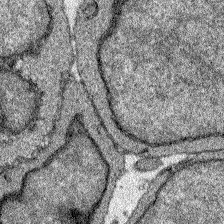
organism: Zebrafish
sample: Larval olfactory bulb